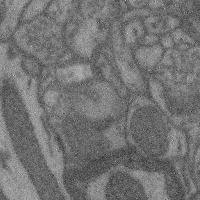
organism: Mouse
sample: Cerebral cortex